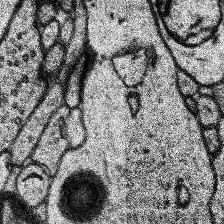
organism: Human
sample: Temporal Lobe